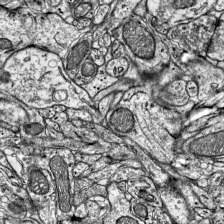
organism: Mouse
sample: Visual Cortex